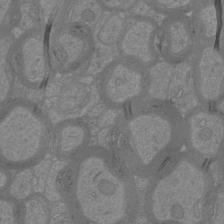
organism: Mouse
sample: Cortical neurons